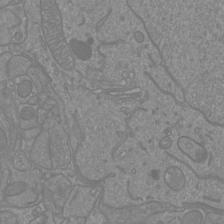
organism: Mouse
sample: Cortical neurons